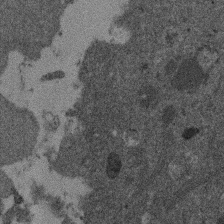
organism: Mouse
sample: Dividing mouse embryo 1 cell stage